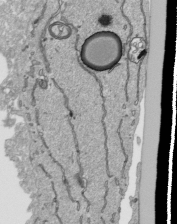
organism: Human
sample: Mitochondria in HCT116 cells